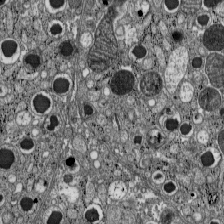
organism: C57BL Mouse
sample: Pancreatic islet